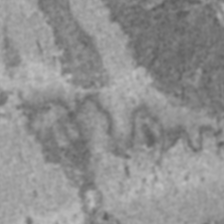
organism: C57BL Mouse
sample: Heart